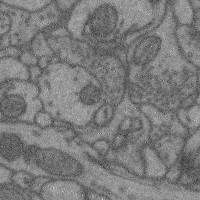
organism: Mouse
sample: Cerebral cortex